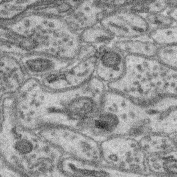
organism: Mouse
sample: Retina